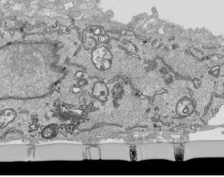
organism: Human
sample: Mitochondria in HCT116 cells